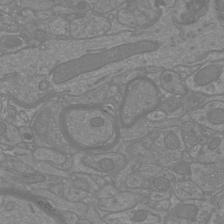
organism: Mouse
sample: Cortical neurons